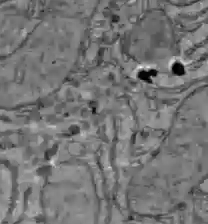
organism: C57BL Mouse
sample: Liver